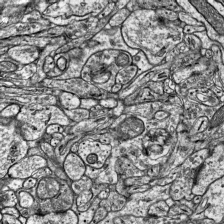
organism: Mouse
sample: Visual Cortex